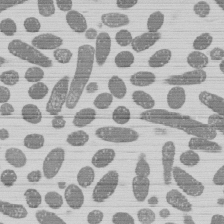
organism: E. coli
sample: Bacterial nucleoid